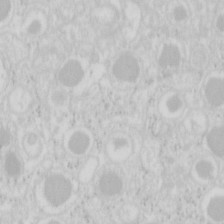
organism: Mouse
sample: Pancreas